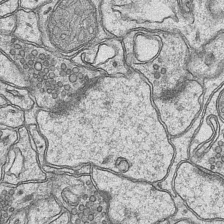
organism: Mouse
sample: CA1 Hippocampus